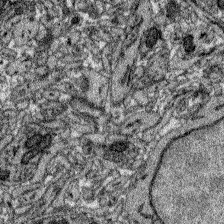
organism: Zebrafish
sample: Larval olfactory bulb